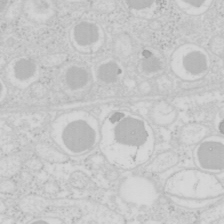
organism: Mouse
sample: Pancreas